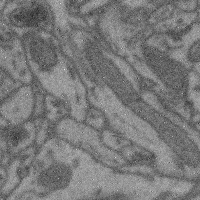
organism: Mouse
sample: Cerebral cortex